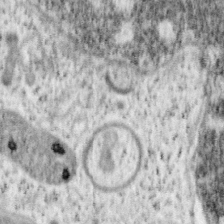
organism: Mouse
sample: OT-I killer T cells with ID8 ovarian cancer cells